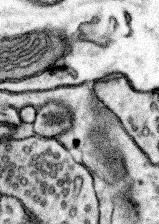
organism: Mouse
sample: Somatosensory cortex neuropil